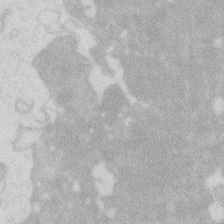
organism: Zebrafish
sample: Macrophage